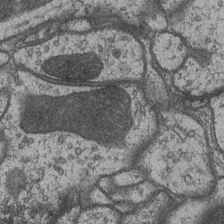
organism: Drosophila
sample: Optic medulla